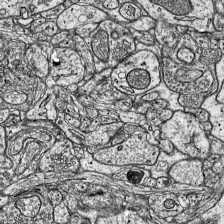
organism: Mouse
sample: Visual Cortex